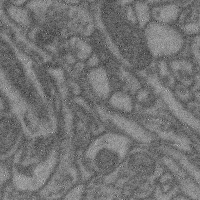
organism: Mouse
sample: Cerebral cortex